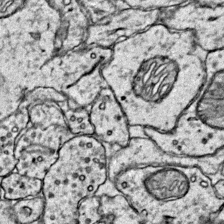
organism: Mouse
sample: Primary visual cortex